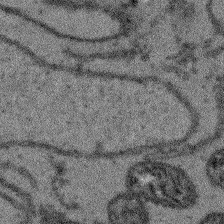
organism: Arabidopsis thaliana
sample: Root tip